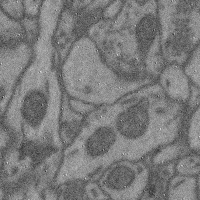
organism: Mouse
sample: Cerebral cortex